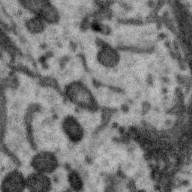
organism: Zebra finch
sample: Brain